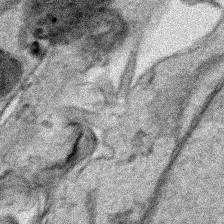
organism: Human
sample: Mitochondria in HCT116 cells